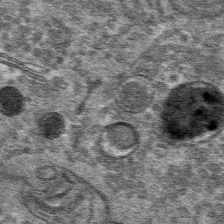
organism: Mouse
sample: Mouse hepatocytes